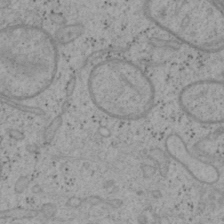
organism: Human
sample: HeLa cells